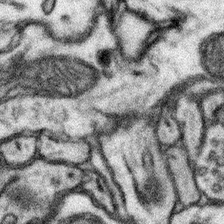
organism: Mouse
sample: Somatosensory cortex neuropil